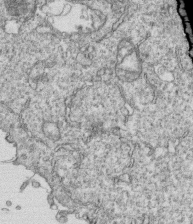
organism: Human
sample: HeLa cell HIV synapse